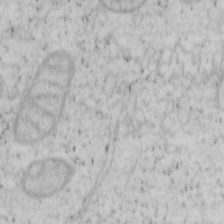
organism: Human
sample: HeLa cells